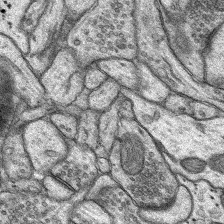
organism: Rat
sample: Hippocampus